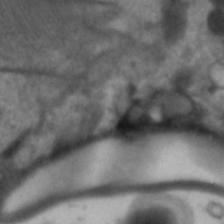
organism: C. elegans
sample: Pharynx